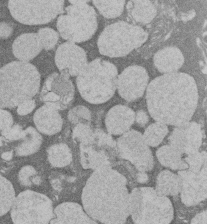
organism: Rat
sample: Salivary granule